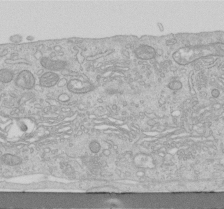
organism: Human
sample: Centriole in RPE cells